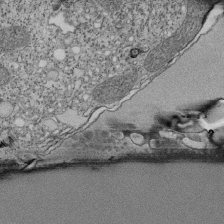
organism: Tetrahymena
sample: Cilia in tetrahymena